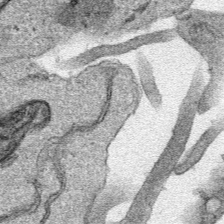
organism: Human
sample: Mitochondria in HCT116 cells